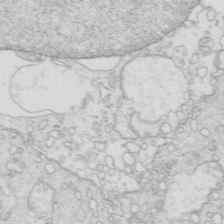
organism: Mouse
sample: Multiciliated cells